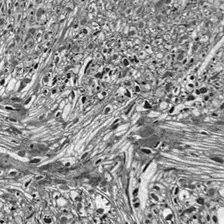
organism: Drosophila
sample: Optic lobe